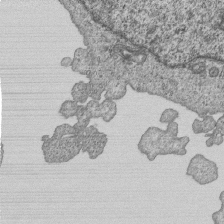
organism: Human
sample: MDA-MB-231 cells